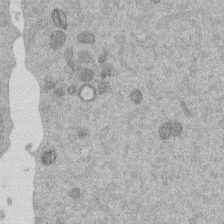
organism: Mouse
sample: Dividing mouse embryo 1 cell stage